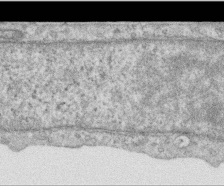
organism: Human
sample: Centriole in RPE cells